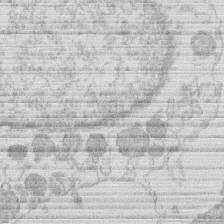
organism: Human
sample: Macrophage cells